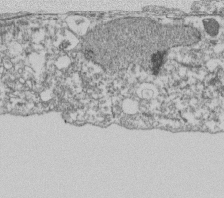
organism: Dictyostelium discoideum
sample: Dictyostelium multivesicular bodies